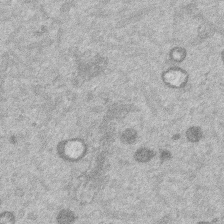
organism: Mouse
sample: Dividing mouse embryo 1 cell stage